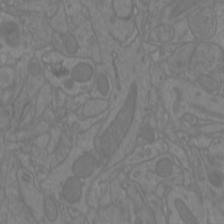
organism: Mouse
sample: Cortical neurons